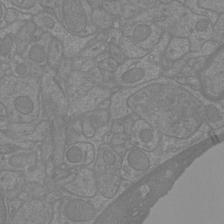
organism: Mouse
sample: Cortical neurons